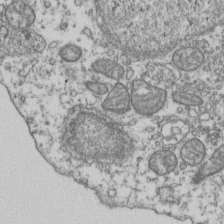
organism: Human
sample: Activated Jurkat CD4+ T cells